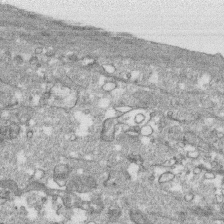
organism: Human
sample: CRL-1474